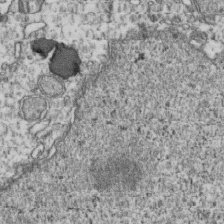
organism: Human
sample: Activated Jurkat CD4+ T cells